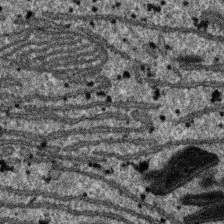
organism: Human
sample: Lung epithelial cells infected with SARS-CoV-2